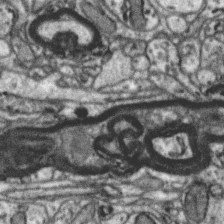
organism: Zebra finch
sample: Brain